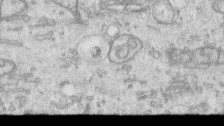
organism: Human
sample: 1205lu cells